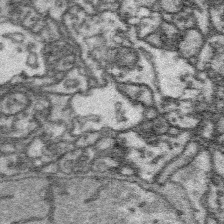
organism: Platynereis dumerilii